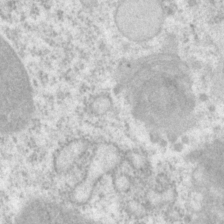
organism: P. pacificus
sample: Pharynx